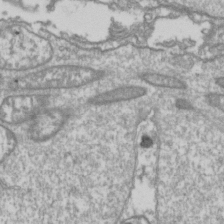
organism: Drosophila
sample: Cell division; meiosis; drosophila spermatocytes